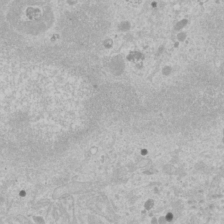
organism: Human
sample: Mitochondria in U2OS cells